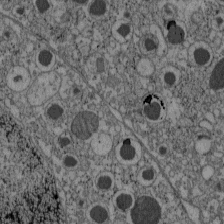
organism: C57BL Mouse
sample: Pancreatic islet